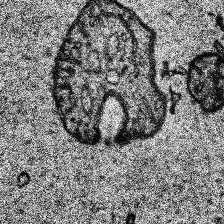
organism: Human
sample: Temporal Lobe